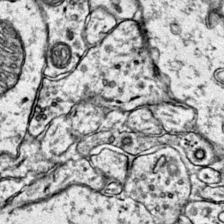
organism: Mouse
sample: Primary visual cortex